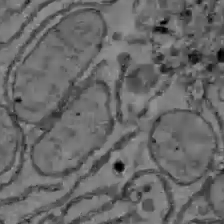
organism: C57BL Mouse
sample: Liver